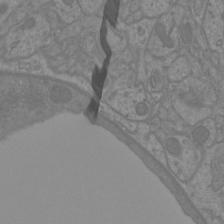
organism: Mouse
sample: Cortical neurons